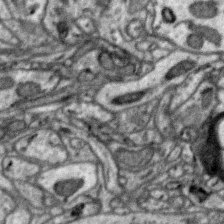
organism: Zebra finch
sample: Brain